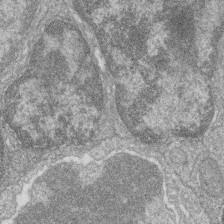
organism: Zebrafish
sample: Cilia; retinal pigment epithelium